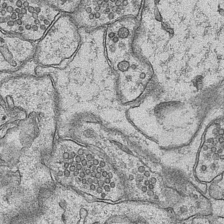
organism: Mouse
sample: CA1 Hippocampus